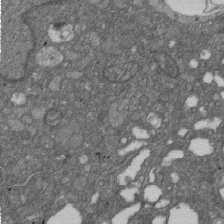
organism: Drosophila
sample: Nephrocyte